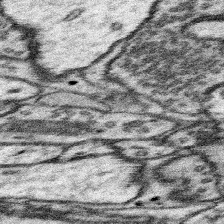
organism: Mouse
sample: Somatosensory cortex neuropil